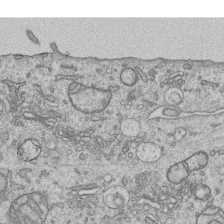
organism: Human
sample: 1205lu cells